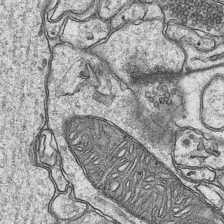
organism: Mouse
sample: CA1 Hippocampus